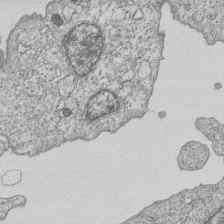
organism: Human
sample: MDA-MB-231 cells